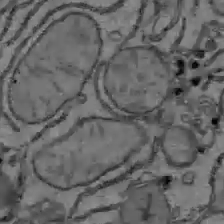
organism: C57BL Mouse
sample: Liver